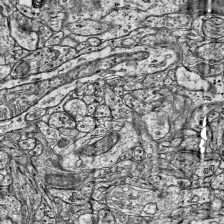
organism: Mouse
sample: Visual Cortex